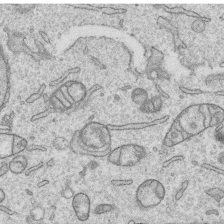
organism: Human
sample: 1205lu cells